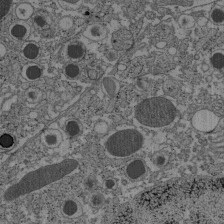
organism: C57BL Mouse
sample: Pancreatic islet